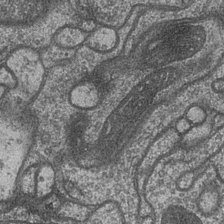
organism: Drosophila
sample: Optic medulla